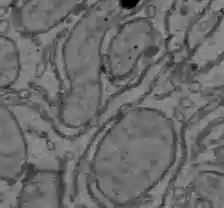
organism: C57BL Mouse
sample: Liver